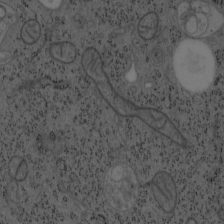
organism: Mouse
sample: OT-I killer T cells with ID8 ovarian cancer cells